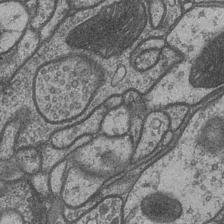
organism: Drosophila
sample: Optic medulla